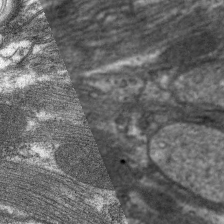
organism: C. elegans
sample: Pharynx